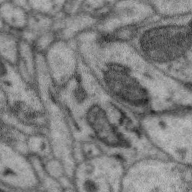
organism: Zebra finch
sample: Brain